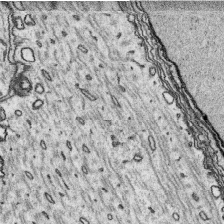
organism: Platynereis dumerilii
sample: Parapodia